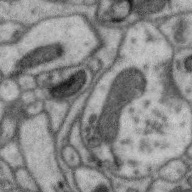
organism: Zebra finch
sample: Brain